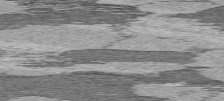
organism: C57BL Mouse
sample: Heart